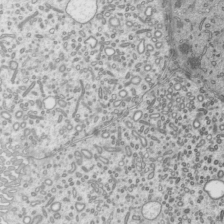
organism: Mouse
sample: Mouse epididymis efferent ductule cilia